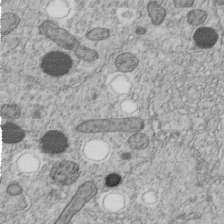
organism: C. elegans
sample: C. elegans embryo early stage